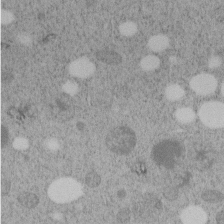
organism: C. elegans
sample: C. elegans embryo early stage